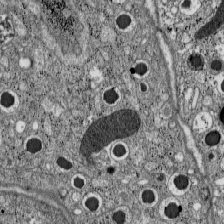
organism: C57BL Mouse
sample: Pancreatic islet